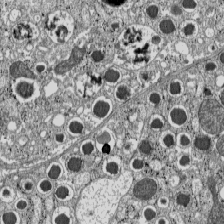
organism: C57BL Mouse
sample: Pancreatic islet